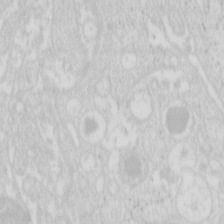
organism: Mouse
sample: Pancreas